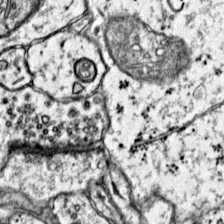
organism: Mouse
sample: Primary visual cortex